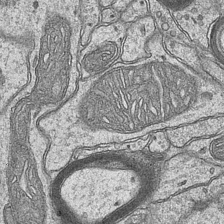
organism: Mouse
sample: CA1 Hippocampus